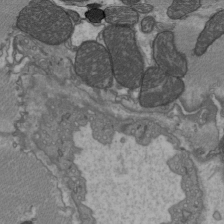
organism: C57BL Mouse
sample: Heart